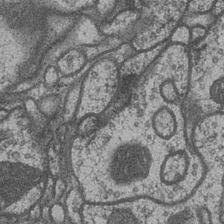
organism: Drosophila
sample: Optic medulla